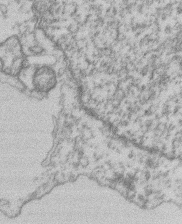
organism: Mouse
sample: T cell stromal cell synapse